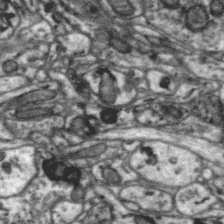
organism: Zebra finch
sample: Brain